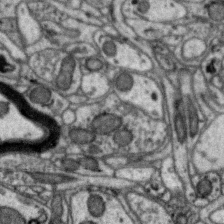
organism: Zebra finch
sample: Brain